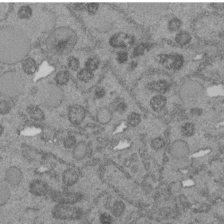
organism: C. elegans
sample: C. elegans embryo early stage